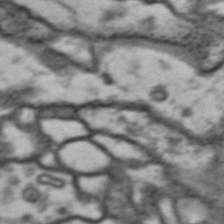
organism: Drosophila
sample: Brain